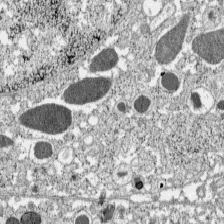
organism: C57BL Mouse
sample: Pancreatic islet